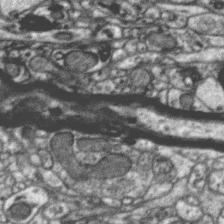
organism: Zebra finch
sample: Brain